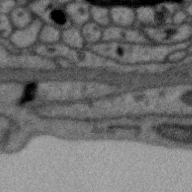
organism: Zebra finch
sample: Brain